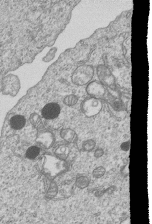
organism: Human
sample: MDA-MB-231 cells